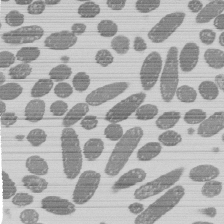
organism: E. coli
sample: Bacterial nucleoid